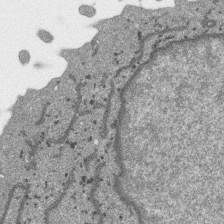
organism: Human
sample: Lung epithelial cells infected with SARS-CoV-2